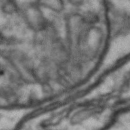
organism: Drosophila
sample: Brain